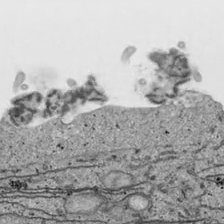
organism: Human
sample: HeLa cells